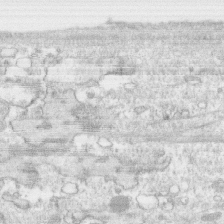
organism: Human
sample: CRL-1474